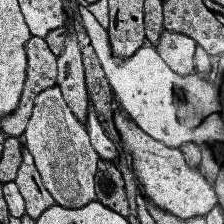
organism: Human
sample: Temporal Lobe